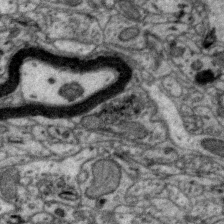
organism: Zebra finch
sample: Brain